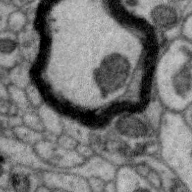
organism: Zebra finch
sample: Brain